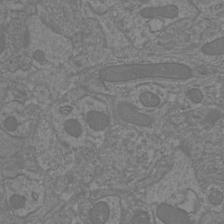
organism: Mouse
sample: Cortical neurons